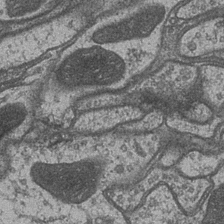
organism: Drosophila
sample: Optic medulla